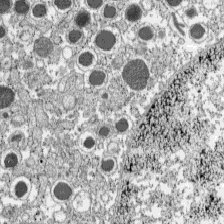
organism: C57BL Mouse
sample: Pancreatic islet